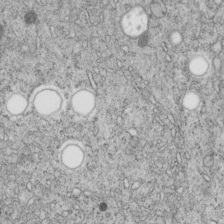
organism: C. elegans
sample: C. elegans embryo early stage